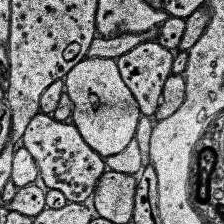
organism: Human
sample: Temporal Lobe